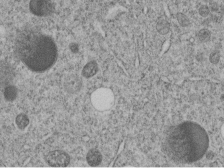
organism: C. elegans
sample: C. elegans embryo early stage